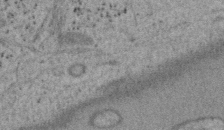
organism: Human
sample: HeLa cells